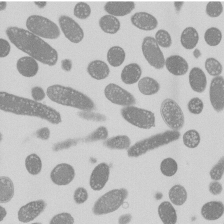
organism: E. coli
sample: Bacterial nucleoid